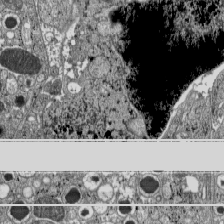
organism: C57BL Mouse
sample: Pancreatic islet